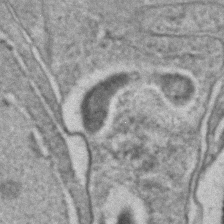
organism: C. elegans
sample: C. elegans embryo